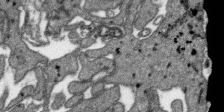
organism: Human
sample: Lung epithelial cells, uninfected (mock) control